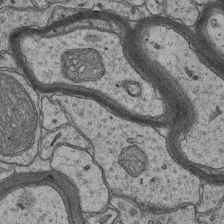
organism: Mouse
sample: CA1 Hippocampus